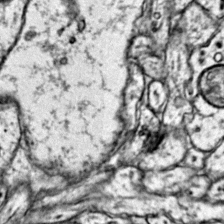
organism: Mouse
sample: Primary visual cortex